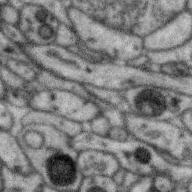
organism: Zebra finch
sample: Brain